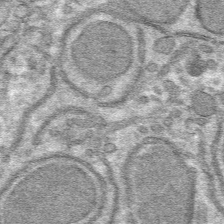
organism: Mouse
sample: Mouse hepatocytes